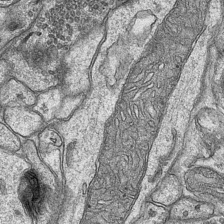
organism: Mouse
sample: CA1 Hippocampus